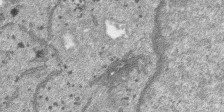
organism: Human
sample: Lung epithelial cells infected with SARS-CoV-2